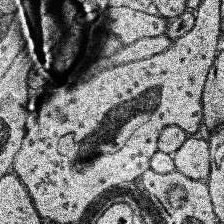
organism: Human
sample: Temporal Lobe